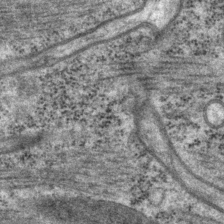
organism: P. pacificus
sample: Pharynx